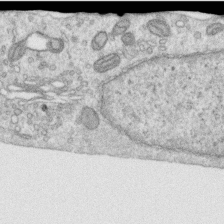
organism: Human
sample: Centriole in RPE cells